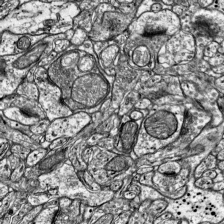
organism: Mouse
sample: Visual Cortex